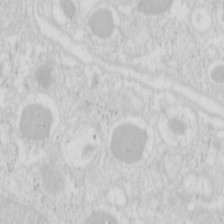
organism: Mouse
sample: Pancreas